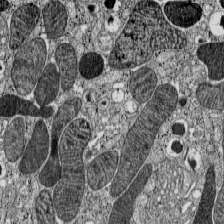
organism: C57BL Mouse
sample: Pancreatic islet